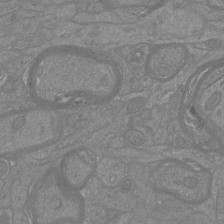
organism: Mouse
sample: Cortical neurons